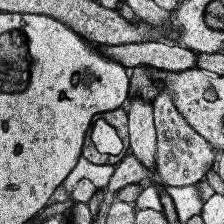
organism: Human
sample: Temporal Lobe